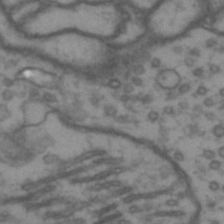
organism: Drosophila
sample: Brain